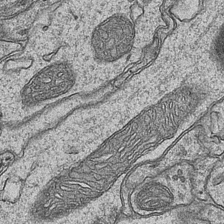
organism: Mouse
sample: CA1 Hippocampus